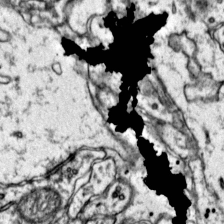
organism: Mouse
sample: Primary visual cortex